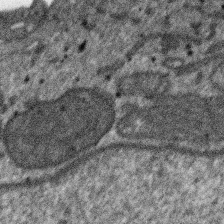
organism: Human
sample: Lung epithelial cells infected with SARS-CoV-2